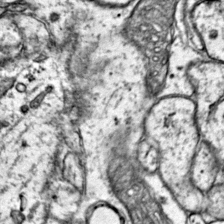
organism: Mouse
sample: Primary visual cortex